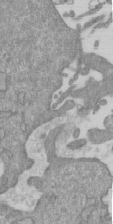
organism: Mouse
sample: ED-1 cell nuclei; centrioles